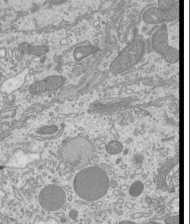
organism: Mouse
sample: Cilia; mouse epididymis